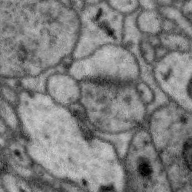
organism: Zebra finch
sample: Brain